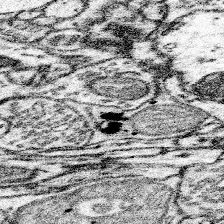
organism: Mouse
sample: Somatosensory cortex neuropil